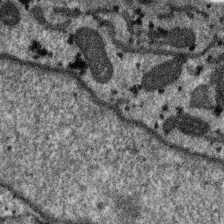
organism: Human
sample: Lung epithelial cells infected with SARS-CoV-2